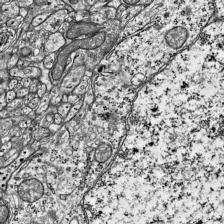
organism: Mouse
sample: Visual Cortex